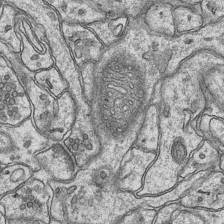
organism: Mouse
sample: CA1 Hippocampus